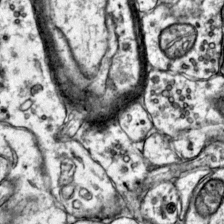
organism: Mouse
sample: Primary visual cortex